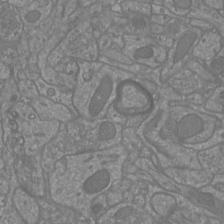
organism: Mouse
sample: Cortical neurons